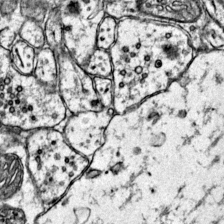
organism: Mouse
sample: Primary visual cortex